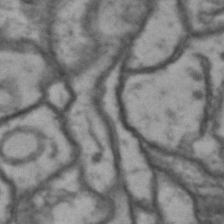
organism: Drosophila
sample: Brain